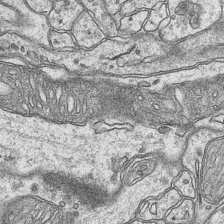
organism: Mouse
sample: CA1 Hippocampus